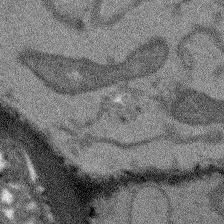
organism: Arabidopsis thaliana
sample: Root tip